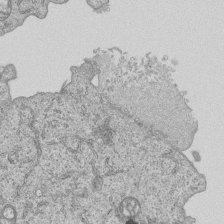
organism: Human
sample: MDA-MB-231 cells